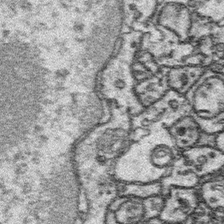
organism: Platynereis dumerilii